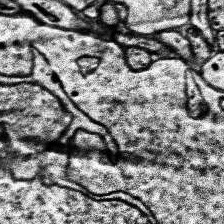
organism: Human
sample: Temporal Lobe